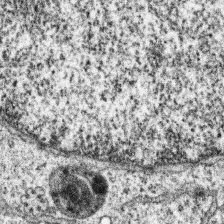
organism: Human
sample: HeLa cells